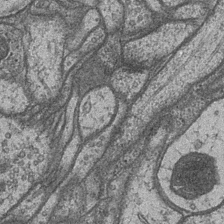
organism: Drosophila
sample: Optic medulla